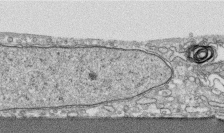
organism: Human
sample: CRL-1474